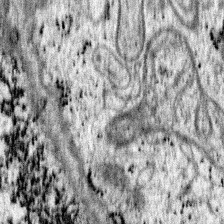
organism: Human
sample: HeLa cells